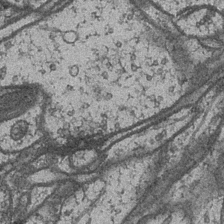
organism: Drosophila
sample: Optic medulla